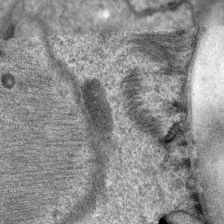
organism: C. elegans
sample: Pharynx